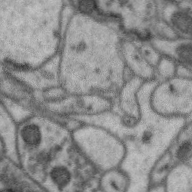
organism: Zebra finch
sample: Brain